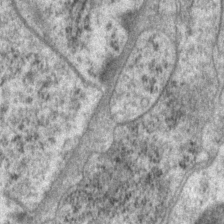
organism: P. pacificus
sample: Pharynx